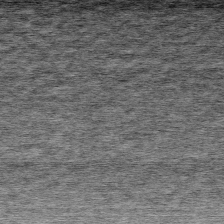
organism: Human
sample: HeLa cells